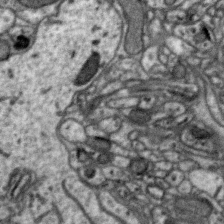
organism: Zebra finch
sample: Brain